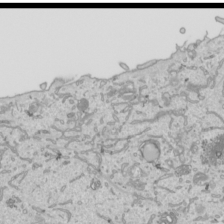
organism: Human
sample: Mitochondria in HCT116 cells